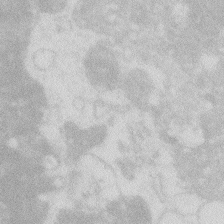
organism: Zebrafish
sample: Macrophage